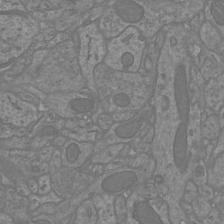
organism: Mouse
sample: Cortical neurons